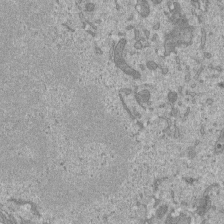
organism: Mouse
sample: ED-1 cell nuclei; centrioles